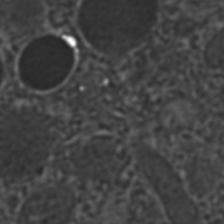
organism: C. elegans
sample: C. elegans embryo